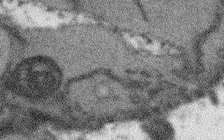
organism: Arabidopsis thaliana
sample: Root tip